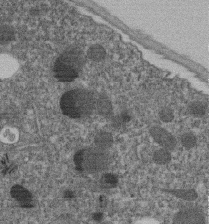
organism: C. elegans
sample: C. elegans embryo early stage